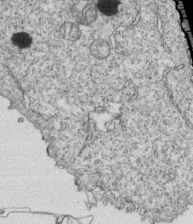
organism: Human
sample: HeLa cell HIV synapse